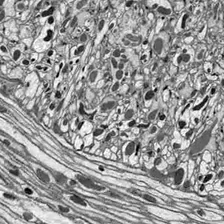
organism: Drosophila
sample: Optic lobe